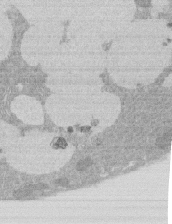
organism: Rat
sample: Salivary granule